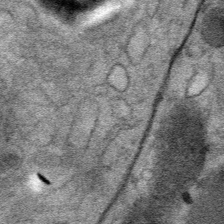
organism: Mouse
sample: Mouse Salivary gland